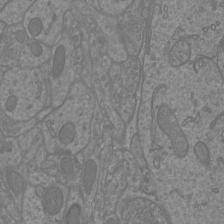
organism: Mouse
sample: Cortical neurons